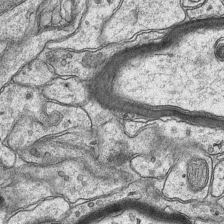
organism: Mouse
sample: CA1 Hippocampus